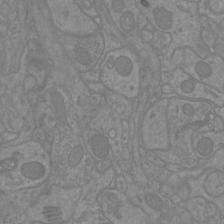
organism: Mouse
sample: Cortical neurons